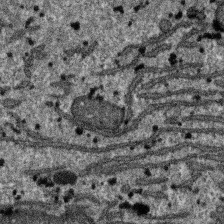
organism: Human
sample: Lung epithelial cells infected with SARS-CoV-2